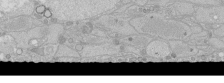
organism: Human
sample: Caco-2 cells